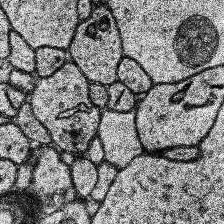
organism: Human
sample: Temporal Lobe